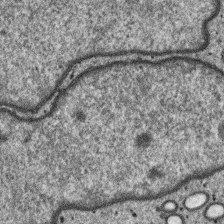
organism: Human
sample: Lung epithelial cells infected with SARS-CoV-2